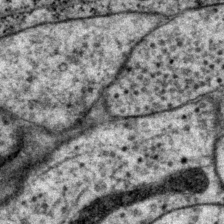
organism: P. pacificus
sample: Pharynx